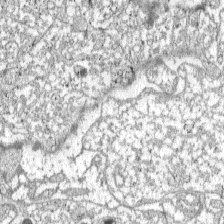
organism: C57BL Mouse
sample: Pancreatic islet